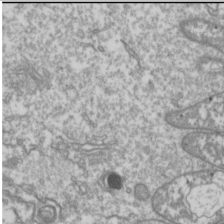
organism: Drosophila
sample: Cell division; meiosis; drosophila spermatocytes